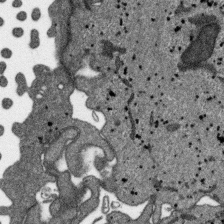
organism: Human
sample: Lung epithelial cells, uninfected (mock) control